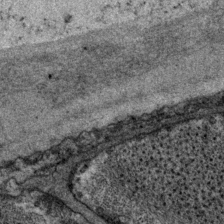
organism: P. pacificus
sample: Pharynx